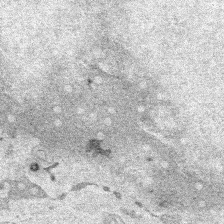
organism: Human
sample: Mitochondria in HCT116 cells